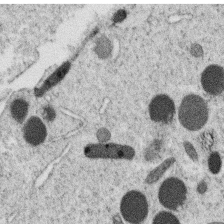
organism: C. elegans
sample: C. elegans oocyte; sperm cells